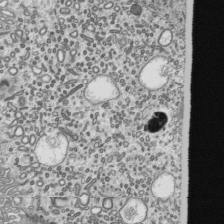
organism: Mouse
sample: Mouse epididymis efferent ductule cilia